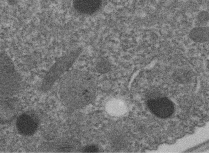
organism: C. elegans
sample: C. elegans embryo early stage